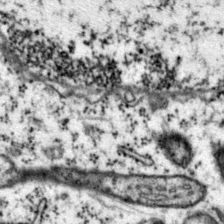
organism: Mouse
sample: Primary visual cortex